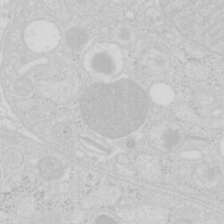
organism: Mouse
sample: Pancreas